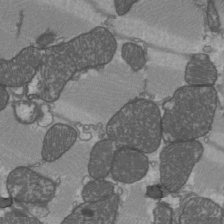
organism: C57BL Mouse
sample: Heart